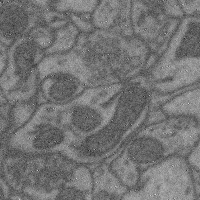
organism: Mouse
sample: Cerebral cortex